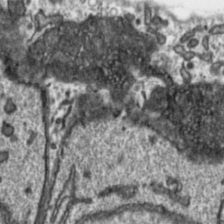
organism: Toxoplasma gondii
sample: Parasites in a vacuole inside a host cell